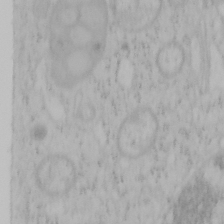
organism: Mouse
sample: OT-I killer T cells with ID8 ovarian cancer cells